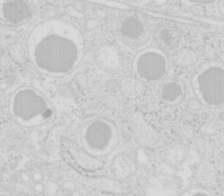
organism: Mouse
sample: Pancreas